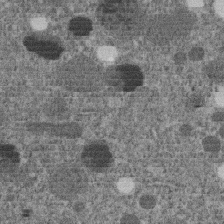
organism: C. elegans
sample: C. elegans embryo early stage